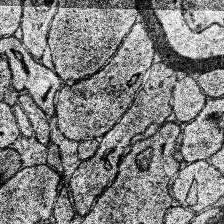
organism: Human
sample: Temporal Lobe